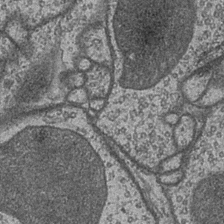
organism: Drosophila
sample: Optic medulla